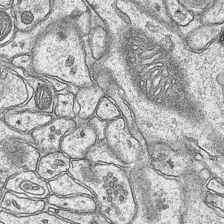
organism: Mouse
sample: CA1 Hippocampus